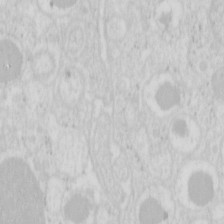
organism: Mouse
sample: Pancreas